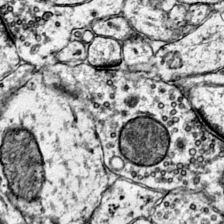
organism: Mouse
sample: Primary visual cortex